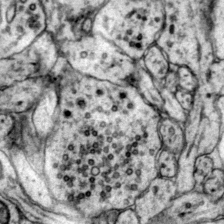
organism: Mouse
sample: Primary visual cortex